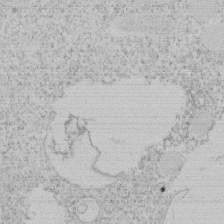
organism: Tetrahymena